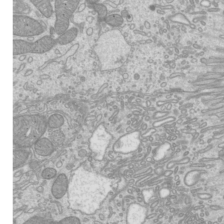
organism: Mouse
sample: Cilia; mouse epididymis